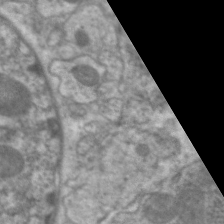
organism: C. elegans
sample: Pharynx